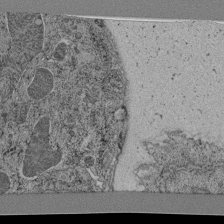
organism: C. elegans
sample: C. elegans pharynx